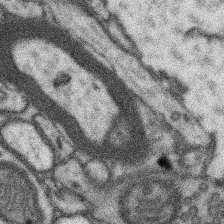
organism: Mouse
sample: Somatosensory cortex neuropil